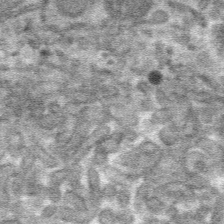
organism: Mouse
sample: Mouse hepatocytes